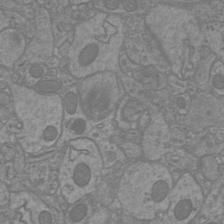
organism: Mouse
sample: Cortical neurons